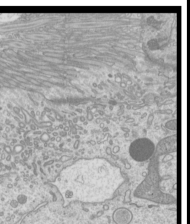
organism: Mouse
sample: Cilia; mouse epididymis